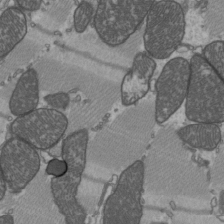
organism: C57BL Mouse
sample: Heart